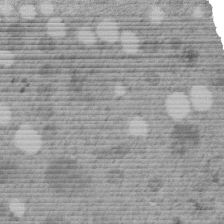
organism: C. elegans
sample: C. elegans embryo early stage